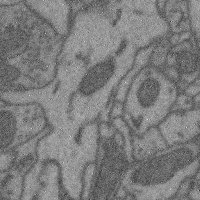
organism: Mouse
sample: Cerebral cortex